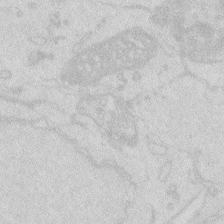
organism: Zebrafish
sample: Macrophage